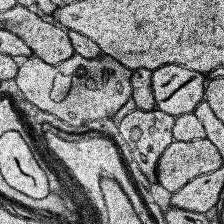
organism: Human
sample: Temporal Lobe